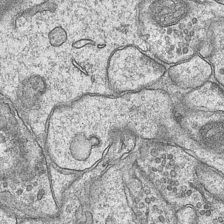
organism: Mouse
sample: CA1 Hippocampus